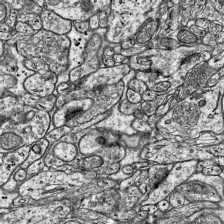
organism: Mouse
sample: Visual Cortex